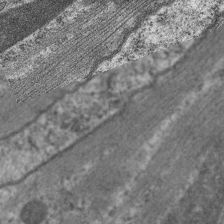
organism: C. elegans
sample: Pharynx